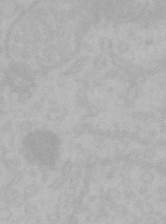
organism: Mouse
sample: Choroid plexus